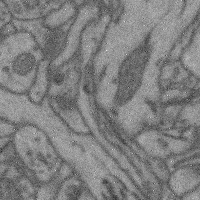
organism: Mouse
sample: Cerebral cortex